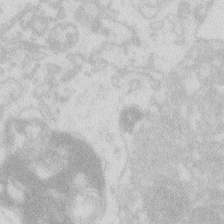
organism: Zebrafish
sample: Macrophage